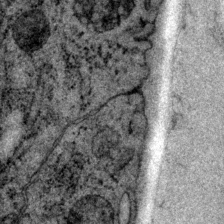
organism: P. pacificus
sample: Pharynx